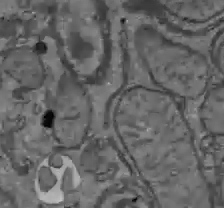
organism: C57BL Mouse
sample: Liver